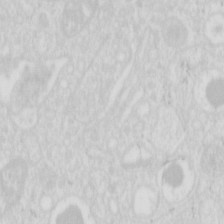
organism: Mouse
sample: Pancreas